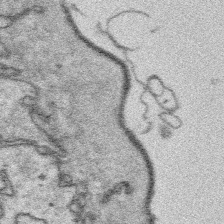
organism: Platynereis dumerilii